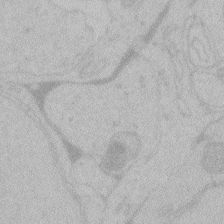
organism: Zebrafish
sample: Macrophage infected with Toxoplasma gondii